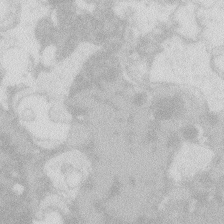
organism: Zebrafish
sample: Macrophage